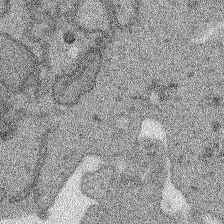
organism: Human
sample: HeLa cells